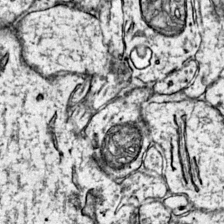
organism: Mouse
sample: Primary visual cortex